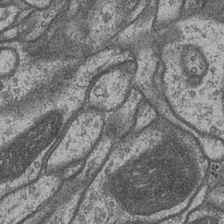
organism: Drosophila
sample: Optic medulla